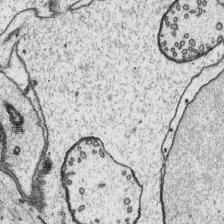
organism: Platynereis dumerilii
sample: Parapodia